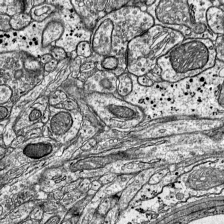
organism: Mouse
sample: Visual Cortex